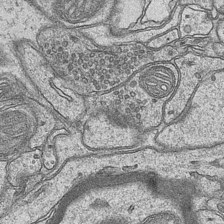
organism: Mouse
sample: CA1 Hippocampus